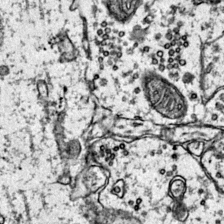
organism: Mouse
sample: Primary visual cortex